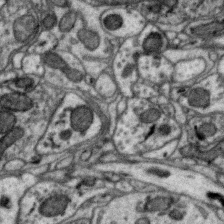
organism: Zebra finch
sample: Brain